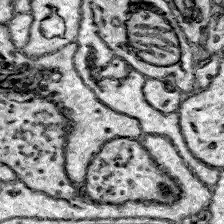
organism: Zebrafish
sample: Brain